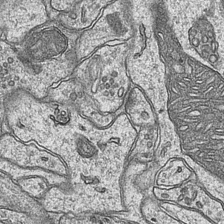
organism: Mouse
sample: CA1 Hippocampus